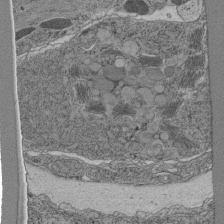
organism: C. elegans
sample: C. elegans pharynx